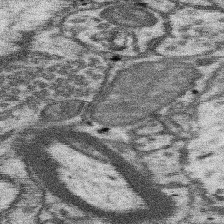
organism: Mouse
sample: Somatosensory cortex neuropil